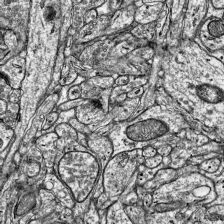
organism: Mouse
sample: Visual Cortex